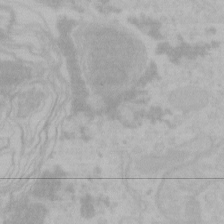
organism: Mouse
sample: Choroid plexus